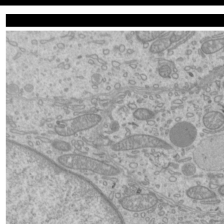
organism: Mouse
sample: Cilia; mouse epididymis